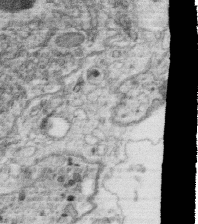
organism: C. elegans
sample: C. elegans oocyte; sperm cells